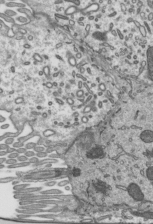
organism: Mouse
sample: Mouse epididymis efferent ductule cilia